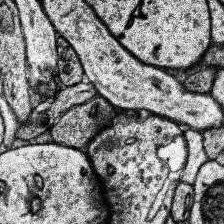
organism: Human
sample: Temporal Lobe